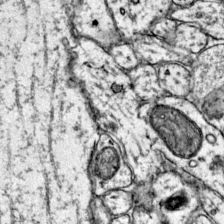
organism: Mouse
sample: Primary visual cortex